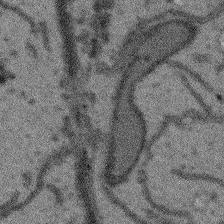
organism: Arabidopsis thaliana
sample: Root tip